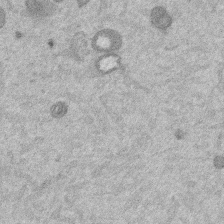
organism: Mouse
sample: Dividing mouse embryo 1 cell stage